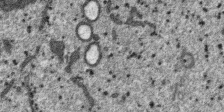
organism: Human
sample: Lung epithelial cells infected with SARS-CoV-2